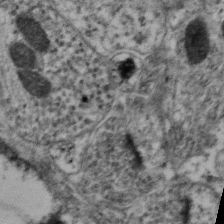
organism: Mouse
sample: Neocortex